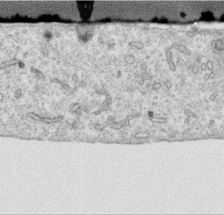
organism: Human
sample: Centriole in RPE cells